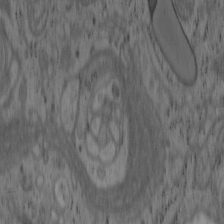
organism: Human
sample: HeLa cells